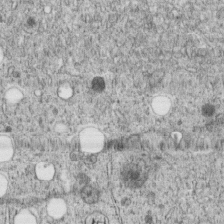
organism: C. elegans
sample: C. elegans embryo early stage